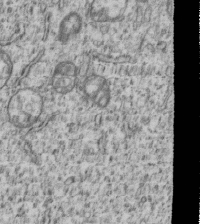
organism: Human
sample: MDA-MB-231 cells